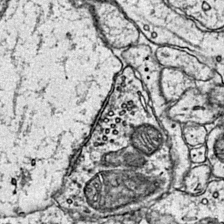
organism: Mouse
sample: Primary visual cortex